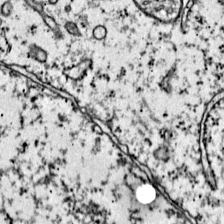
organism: Mouse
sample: Primary visual cortex